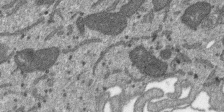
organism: Human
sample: Lung epithelial cells infected with SARS-CoV-2